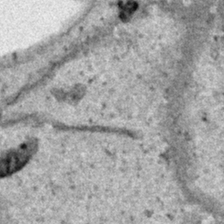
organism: Human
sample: Mitochondria in HCT116 cells